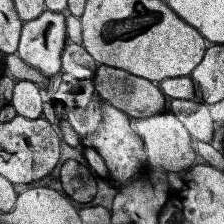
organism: Human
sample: Temporal Lobe